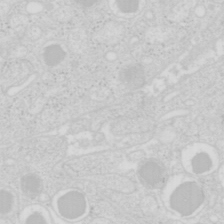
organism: Mouse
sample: Pancreas